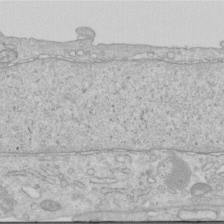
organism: Human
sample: Centriole in RPE cells